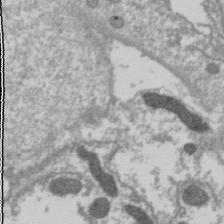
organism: Drosophila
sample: Cell division; meiosis; drosophila spermatocytes